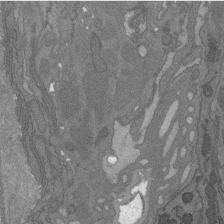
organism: C. elegans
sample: AFD neurons C. elegans